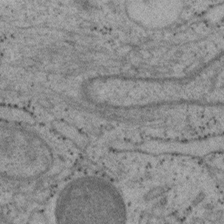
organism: Human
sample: HeLa cells